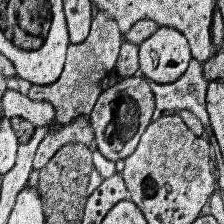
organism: Human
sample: Temporal Lobe